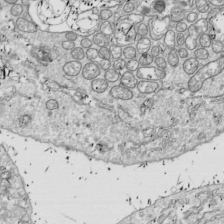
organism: Drosophila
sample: Cell division; meiosis; drosophila spermatocytes